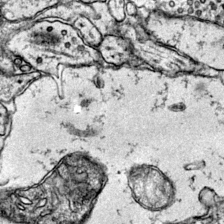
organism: Mouse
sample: Primary visual cortex